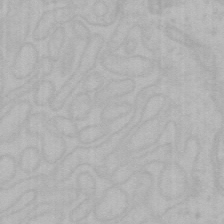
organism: Mouse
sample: Choroid plexus